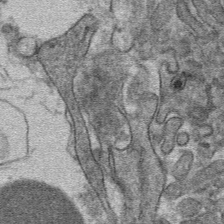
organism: Mouse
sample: Mouse hepatocytes